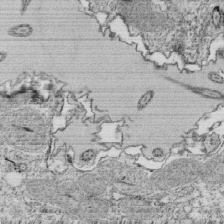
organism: Tetrahymena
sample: Cilia in tetrahymena